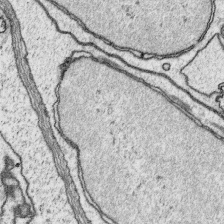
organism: Platynereis dumerilii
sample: Parapodia